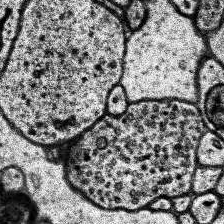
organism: Human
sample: Temporal Lobe